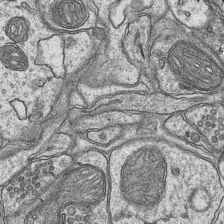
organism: Mouse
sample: CA1 Hippocampus